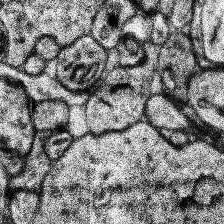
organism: Human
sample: Temporal Lobe